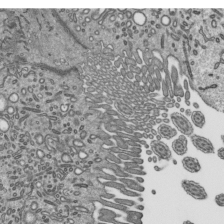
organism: Mouse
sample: Mouse epididymis efferent ductule cilia